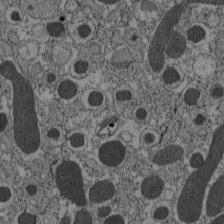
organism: C57BL Mouse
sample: Pancreatic islet